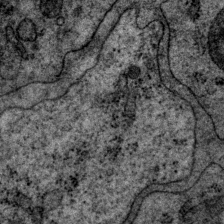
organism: P. pacificus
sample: Pharynx